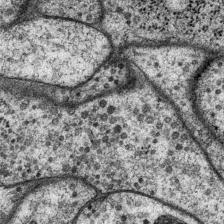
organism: P. pacificus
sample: Pharynx